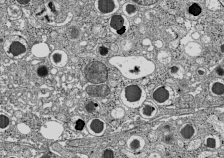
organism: C57BL Mouse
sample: Pancreatic islet